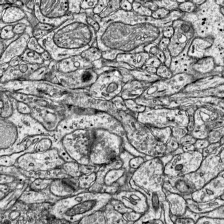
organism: Mouse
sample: Visual Cortex